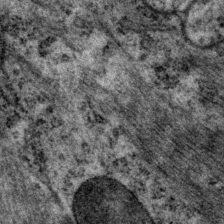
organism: P. pacificus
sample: Pharynx